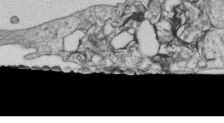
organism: Human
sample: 1205lu cells